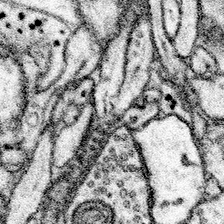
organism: Mouse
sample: Somatosensory cortex neuropil